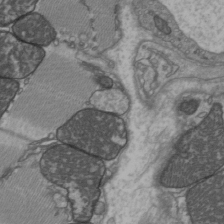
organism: C57BL Mouse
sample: Heart